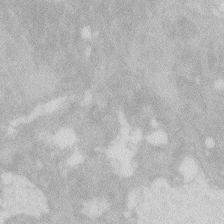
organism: Zebrafish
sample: Macrophage